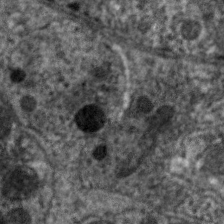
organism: C. elegans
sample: Pharynx